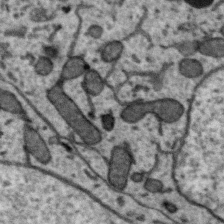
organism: Zebra finch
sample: Brain